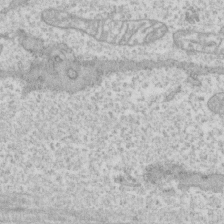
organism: Human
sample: CRL-1474